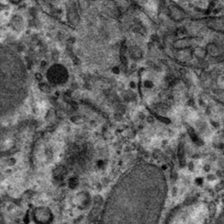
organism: Mouse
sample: Mouse hepatocytes